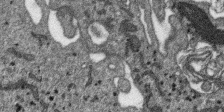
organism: Human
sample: Lung epithelial cells infected with SARS-CoV-2